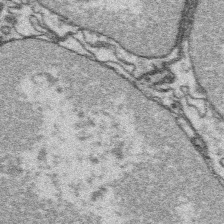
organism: Platynereis dumerilii